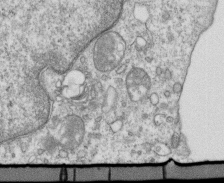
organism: Mouse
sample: Activated OT-1 CD8+ T cells